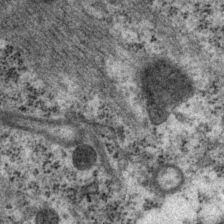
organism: P. pacificus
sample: Pharynx